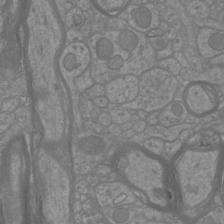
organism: Mouse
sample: Cortical neurons